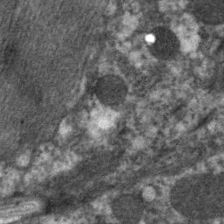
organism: C. elegans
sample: Pharynx